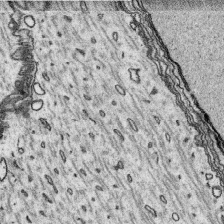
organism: Platynereis dumerilii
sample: Parapodia